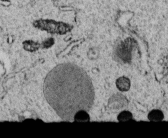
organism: C. elegans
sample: C. elegans embryo early stage